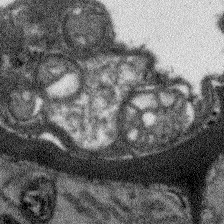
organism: Arabidopsis thaliana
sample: Root tip